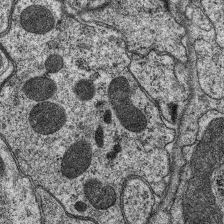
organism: C. elegans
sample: Pharynx